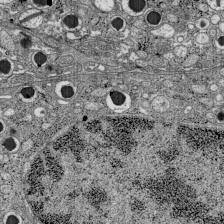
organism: C57BL Mouse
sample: Pancreatic islet